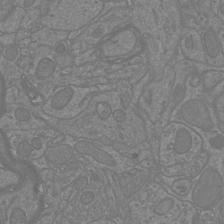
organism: Mouse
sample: Cortical neurons